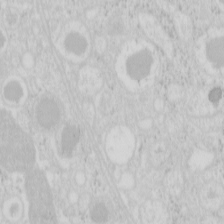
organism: Mouse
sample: Pancreas